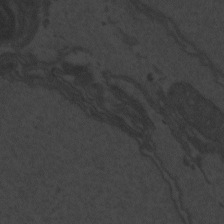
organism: Zebrafish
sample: Macrophage infected with Toxoplasma gondii